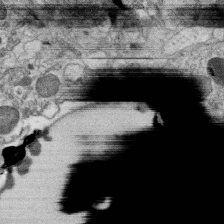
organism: C. elegans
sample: C. elegans oocyte; sperm cells